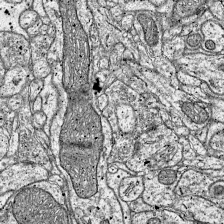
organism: Mouse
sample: Visual Cortex